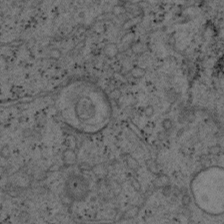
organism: Human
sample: HeLa cells